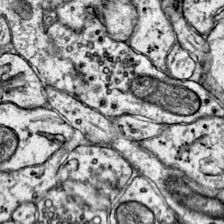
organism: Mouse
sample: Primary visual cortex